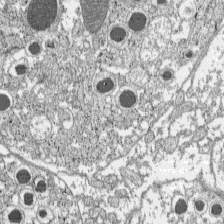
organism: C57BL Mouse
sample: Pancreatic islet